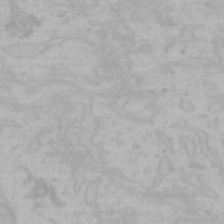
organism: Mouse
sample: Choroid plexus